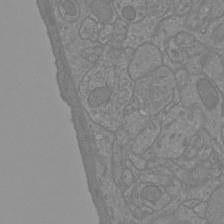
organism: Mouse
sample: Cortical neurons